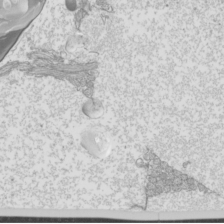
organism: Mouse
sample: Cilia; mouse epididymis